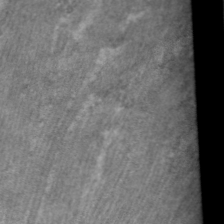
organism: C. elegans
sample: Pharynx